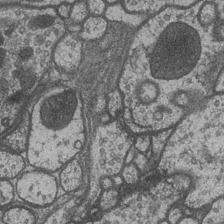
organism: Drosophila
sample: Optic medulla